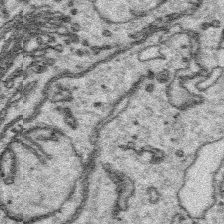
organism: Platynereis dumerilii